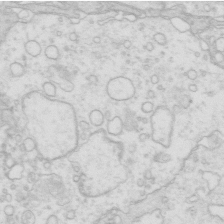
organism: Mouse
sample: Multiciliated cells